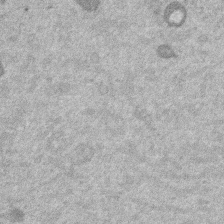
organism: Mouse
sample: Dividing mouse embryo 1 cell stage